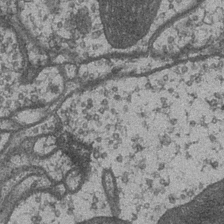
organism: Drosophila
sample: Optic medulla